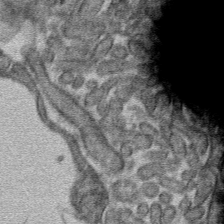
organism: Mouse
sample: Mouse hepatocytes